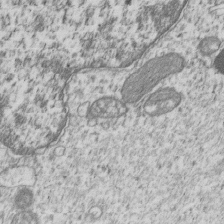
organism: Human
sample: MDA-MB-231 cells